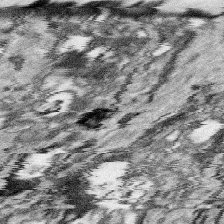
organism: Human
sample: HeLa cells